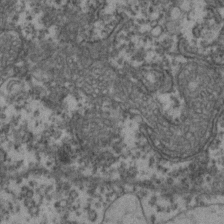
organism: Zebrafish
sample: Zebrafish embryo